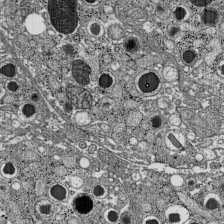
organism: C57BL Mouse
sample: Pancreatic islet